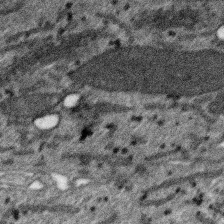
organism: Human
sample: Lung epithelial cells infected with SARS-CoV-2